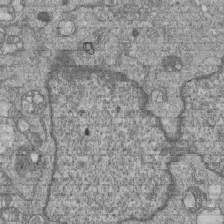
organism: Human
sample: MDA-MB-231 cells